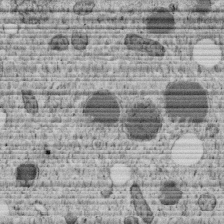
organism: C. elegans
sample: C. elegans embryo early stage